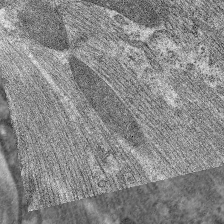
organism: C. elegans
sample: Pharynx